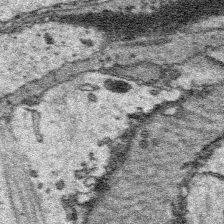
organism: Platynereis dumerilii